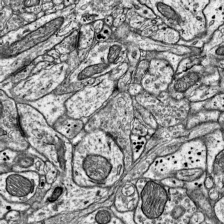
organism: Mouse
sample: Visual Cortex